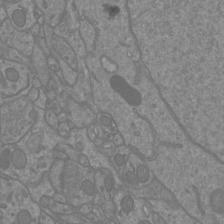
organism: Mouse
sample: Cortical neurons